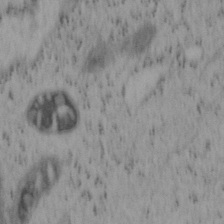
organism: Mouse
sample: OT-I killer T cells with ID8 ovarian cancer cells